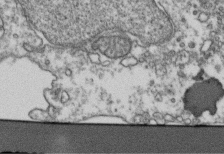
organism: Human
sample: Activated Jurkat CD4+ T cells